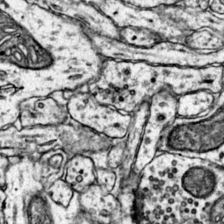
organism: Mouse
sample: Primary visual cortex